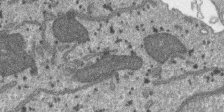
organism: Human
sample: Lung epithelial cells infected with SARS-CoV-2